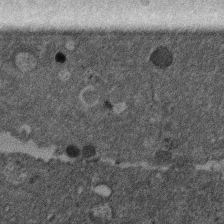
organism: Mouse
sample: Dividing mouse embryo 1 cell stage